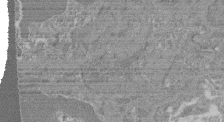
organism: Mouse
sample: Glomerulus